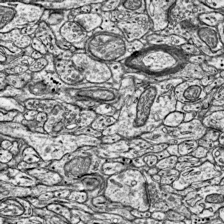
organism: Mouse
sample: Visual Cortex